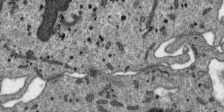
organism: Human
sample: Lung epithelial cells, uninfected (mock) control